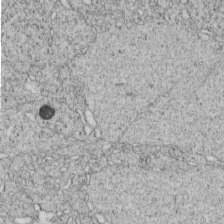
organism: C. elegans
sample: C. elegans embryo early stage